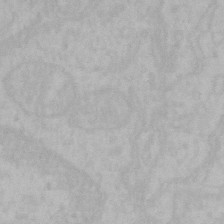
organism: Mouse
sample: Choroid plexus